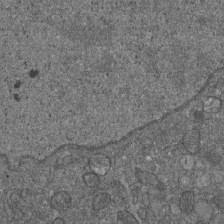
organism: Drosophila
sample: Nephrocyte